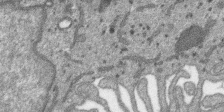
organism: Human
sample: Lung epithelial cells infected with SARS-CoV-2